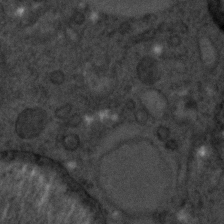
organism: C. elegans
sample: C. elegans embryo